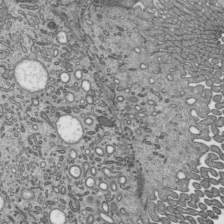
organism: Mouse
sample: Mouse epididymis efferent ductule cilia